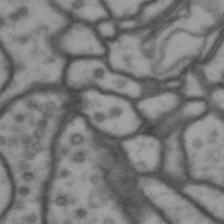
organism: Drosophila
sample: Brain